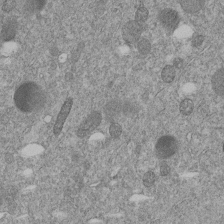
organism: C. elegans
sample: C. elegans embryo early stage